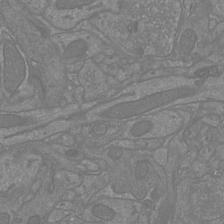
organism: Mouse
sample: Cortical neurons